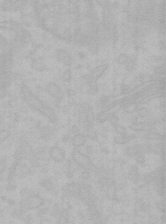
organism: Mouse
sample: Choroid plexus